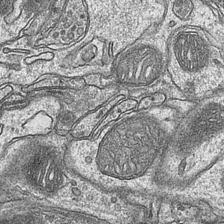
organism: Mouse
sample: CA1 Hippocampus